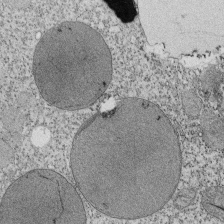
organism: Tetrahymena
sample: Cilia in tetrahymena